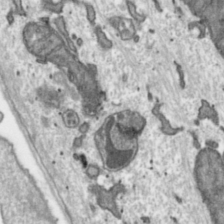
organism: Toxoplasma gondii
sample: Parasites in a vacuole inside a host cell